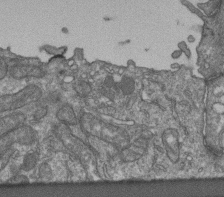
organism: Human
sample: Retinal organoid Rod and Cone cells